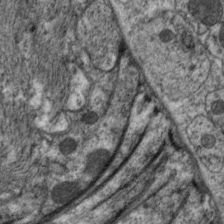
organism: C. elegans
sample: Pharynx